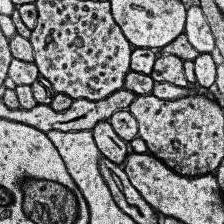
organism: Human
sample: Temporal Lobe